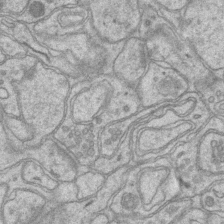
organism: Mouse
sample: CA1 Hippocampus